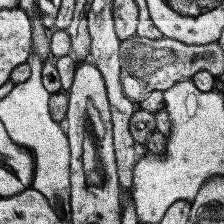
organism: Human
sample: Temporal Lobe